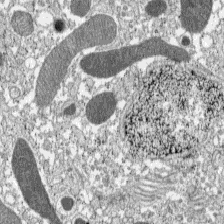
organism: C57BL Mouse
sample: Pancreatic islet